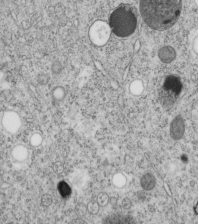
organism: C. elegans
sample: C. elegans embryo early stage